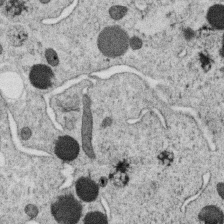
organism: C. elegans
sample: C. elegans oocyte; sperm cells